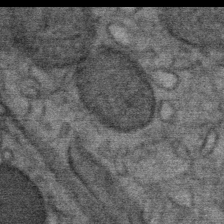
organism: Mouse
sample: Mouse Salivary gland